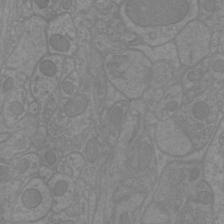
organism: Mouse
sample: Cortical neurons